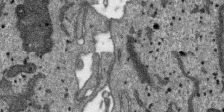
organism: Human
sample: Lung epithelial cells, uninfected (mock) control